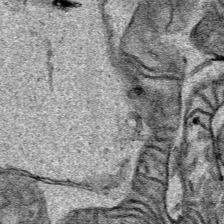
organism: Human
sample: Mitochondria in HCT116 cells